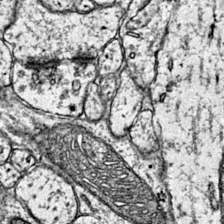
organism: Mouse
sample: Primary visual cortex